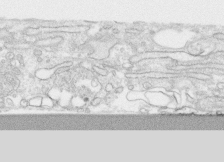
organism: Human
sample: CRL-1474